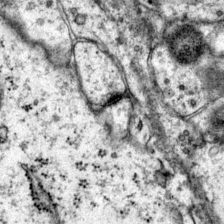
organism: Mouse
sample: Primary visual cortex